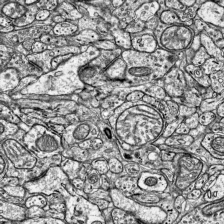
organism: Mouse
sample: Visual Cortex